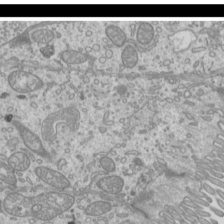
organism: Mouse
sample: Cilia; mouse epididymis